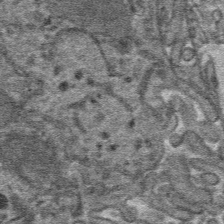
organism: Mouse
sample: Mouse hepatocytes